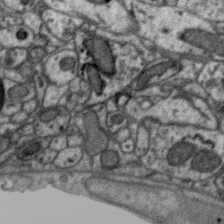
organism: Zebra finch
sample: Brain